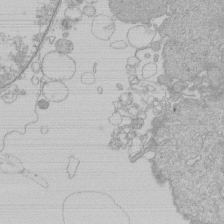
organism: Human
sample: Macrophage cells